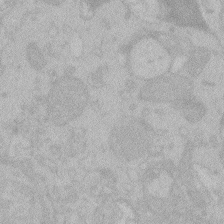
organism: Zebrafish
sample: Macrophage infected with Toxoplasma gondii